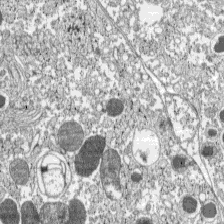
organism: C57BL Mouse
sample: Pancreatic islet